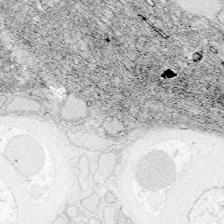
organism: Zebrafish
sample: Whole-Brain